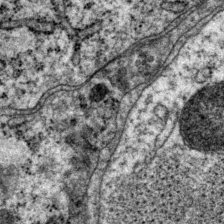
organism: P. pacificus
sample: Pharynx